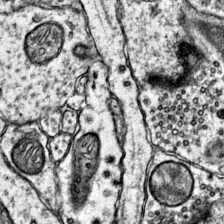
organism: Mouse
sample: Primary visual cortex